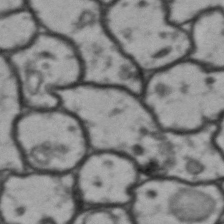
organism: Drosophila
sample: Brain